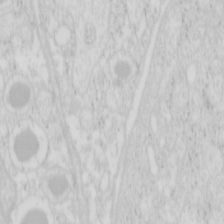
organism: Mouse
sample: Pancreas